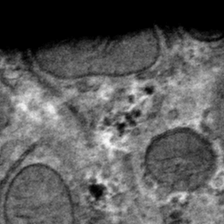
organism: Mouse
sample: Mouse hepatocytes